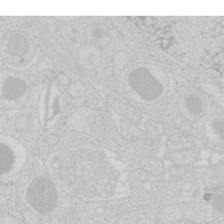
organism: Mouse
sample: Pancreas